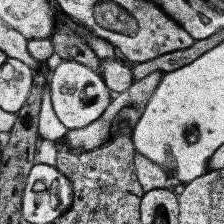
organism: Human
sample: Temporal Lobe